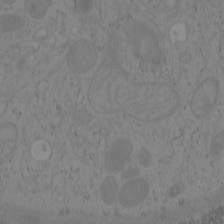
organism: Human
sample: HeLa cells